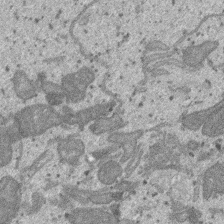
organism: Human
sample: Lung epithelial cells infected with SARS-CoV-2